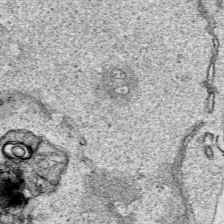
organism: Human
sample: Mitochondria in HCT116 cells